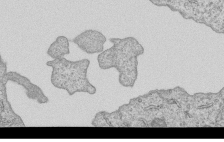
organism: Human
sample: MDA-MB-231 cells